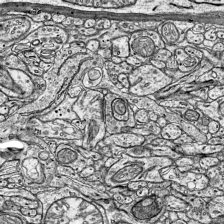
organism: Mouse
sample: Visual Cortex